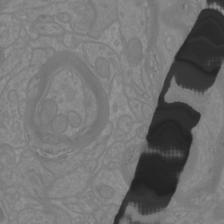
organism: Mouse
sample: Cortical neurons